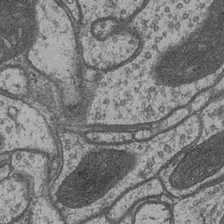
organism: Drosophila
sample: Optic medulla